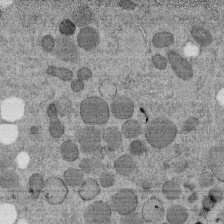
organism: C. elegans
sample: C. elegans embryo early stage